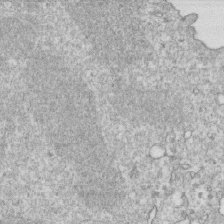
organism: Mouse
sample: Activated OT-1 CD8+ T cells